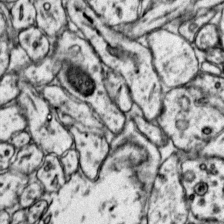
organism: Mouse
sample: Primary visual cortex